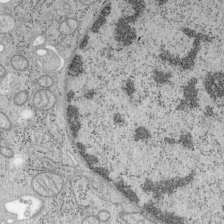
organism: Mouse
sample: OT-I killer T cells with ID8 ovarian cancer cells